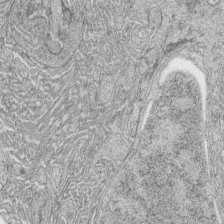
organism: Zebrafish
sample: synaptic ribbons in rod cells and cone cells